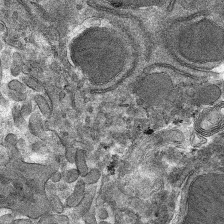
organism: Mouse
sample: Mouse hepatocytes